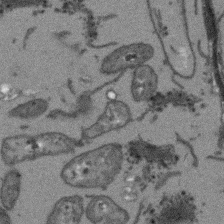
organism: Arabidopsis thaliana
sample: Root tip